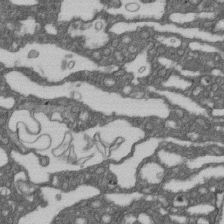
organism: Drosophila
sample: Nephrocyte